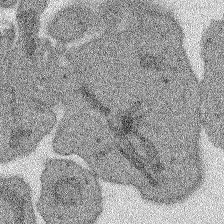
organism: Human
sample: HeLa cells